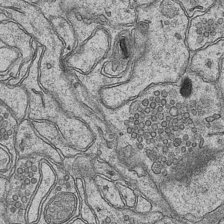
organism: Mouse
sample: CA1 Hippocampus